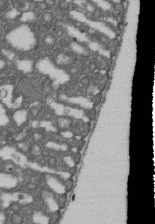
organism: Drosophila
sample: Nephrocyte